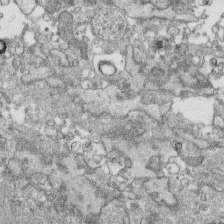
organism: Human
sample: CRL-1474